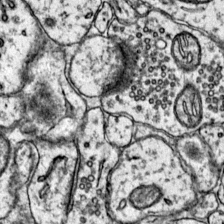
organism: Mouse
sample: Primary visual cortex